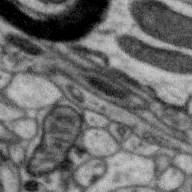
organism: Zebra finch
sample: Brain